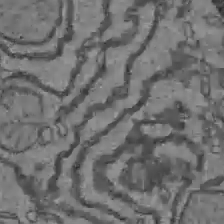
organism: C57BL Mouse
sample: Liver